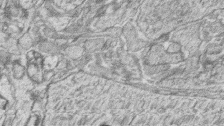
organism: Zebrafish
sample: synaptic ribbons in rod cells and cone cells